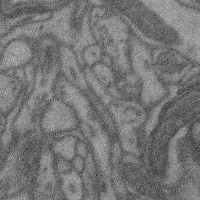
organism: Mouse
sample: Cerebral cortex